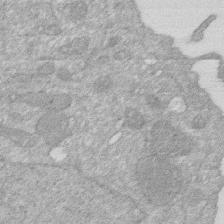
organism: Human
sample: HIV infected U937 cells